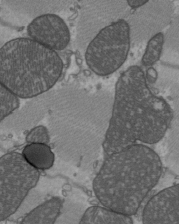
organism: C57BL Mouse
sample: Heart